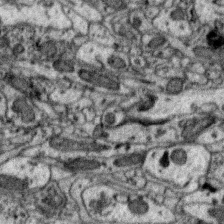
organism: Zebra finch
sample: Brain